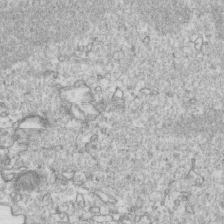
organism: Mouse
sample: Activated OT-1 CD8+ T cells